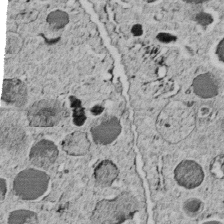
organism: C. elegans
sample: C. elegans embryo early stage